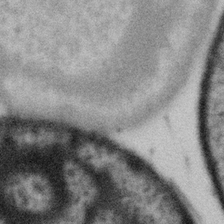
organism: Gemmata obscuriglobus